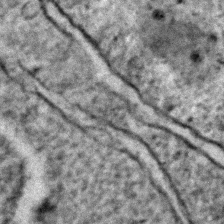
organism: C. elegans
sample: C. elegans embryo